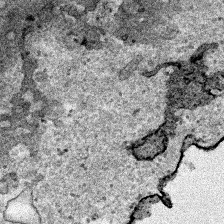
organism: Human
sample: Mitochondria in HCT116 cells